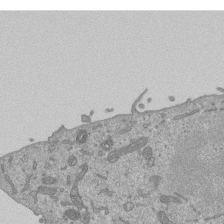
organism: Mouse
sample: ED-1 cell nuclei; centrioles